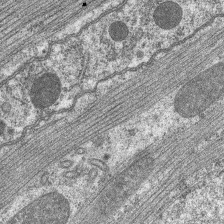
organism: C. elegans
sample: Pharynx